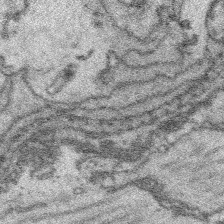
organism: Platynereis dumerilii